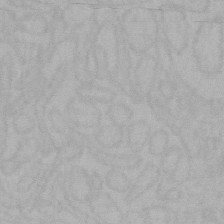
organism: Mouse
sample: Choroid plexus